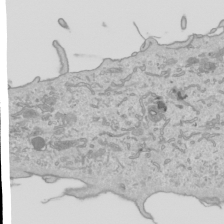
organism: Human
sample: Mitochondria in HCT116 cells